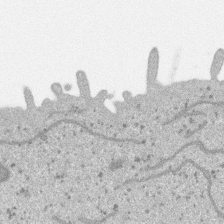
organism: Human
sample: Lung epithelial cells infected with SARS-CoV-2